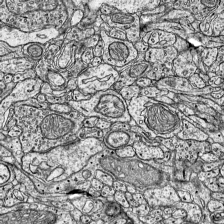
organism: Mouse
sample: Visual Cortex